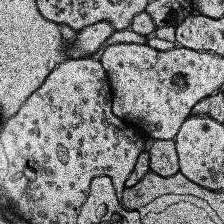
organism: Human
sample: Temporal Lobe